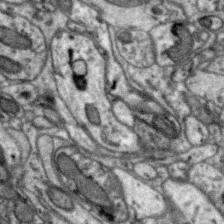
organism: Zebra finch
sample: Brain